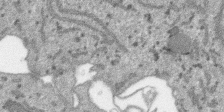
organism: Human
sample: Lung epithelial cells infected with SARS-CoV-2